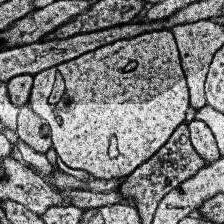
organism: Human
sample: Temporal Lobe